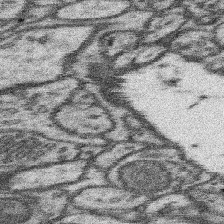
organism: Mouse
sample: Somatosensory cortex neuropil